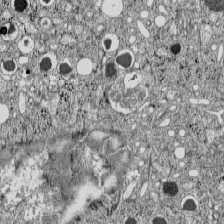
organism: C57BL Mouse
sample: Pancreatic islet